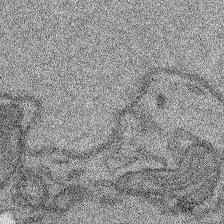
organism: Human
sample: HeLa cells